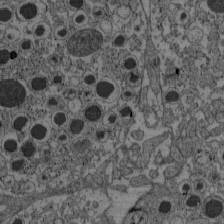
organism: C57BL Mouse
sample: Pancreatic islet